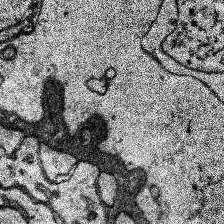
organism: Human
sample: Temporal Lobe